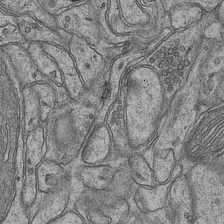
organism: Mouse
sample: CA1 Hippocampus